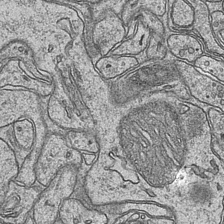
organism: Mouse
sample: CA1 Hippocampus